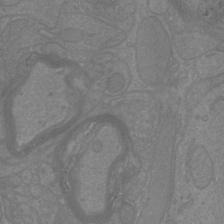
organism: Mouse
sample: Cortical neurons